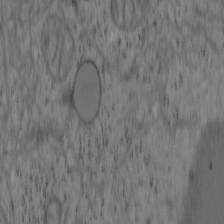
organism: Human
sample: HeLa cells